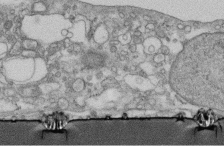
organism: Human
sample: Centriole in fibroblast cells